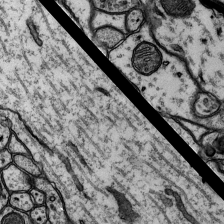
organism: Rat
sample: Hippocampus